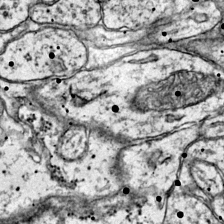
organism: Mouse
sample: Primary visual cortex